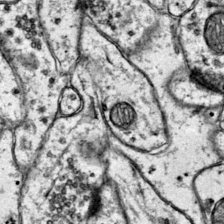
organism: Mouse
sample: Primary visual cortex